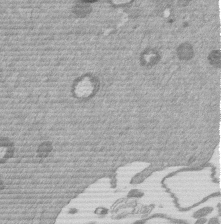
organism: Mouse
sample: Dividing mouse embryo 1 cell stage